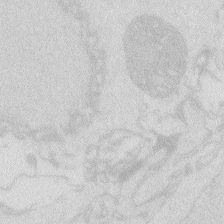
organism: Zebrafish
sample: Macrophage